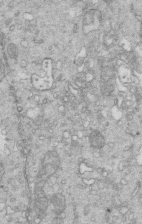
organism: Mouse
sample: Multiciliated cells